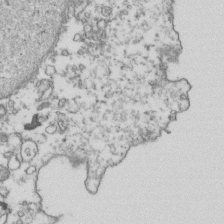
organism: Human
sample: Activated Jurkat CD4+ T cells